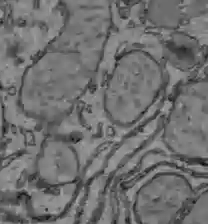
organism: C57BL Mouse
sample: Liver